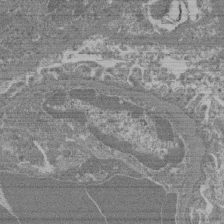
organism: Mouse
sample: Glomerulus